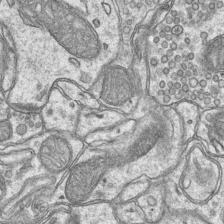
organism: Mouse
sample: CA1 Hippocampus